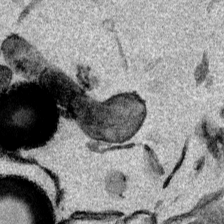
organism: Mouse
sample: Cancer cell death in ED-1 cells